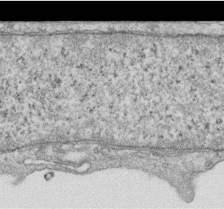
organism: Human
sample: Centriole in RPE cells